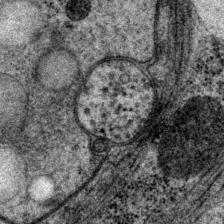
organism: P. pacificus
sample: Pharynx